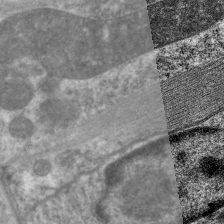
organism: C. elegans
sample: Pharynx